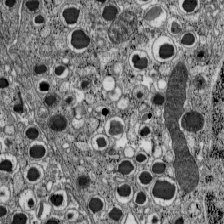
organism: C57BL Mouse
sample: Pancreatic islet